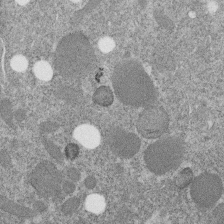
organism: C. elegans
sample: C. elegans embryo early stage